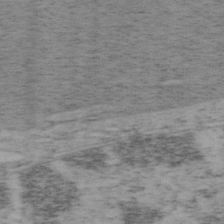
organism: Mouse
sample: OT-I killer T cells with ID8 ovarian cancer cells